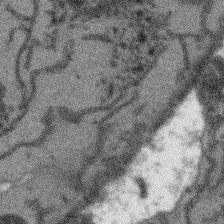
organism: Arabidopsis thaliana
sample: Root tip